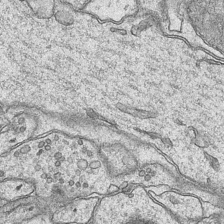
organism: Mouse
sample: CA1 Hippocampus